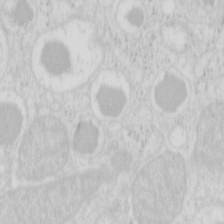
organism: Mouse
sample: Pancreas